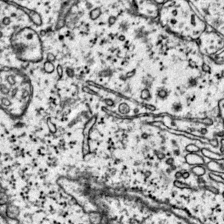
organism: Mouse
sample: Primary visual cortex